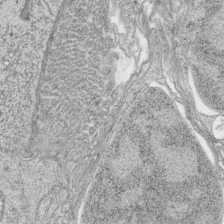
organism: Zebrafish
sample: synaptic ribbons in rod cells and cone cells